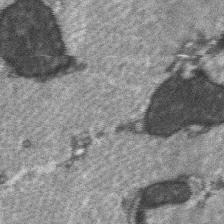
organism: C57BL Mouse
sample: Soleus